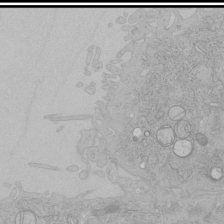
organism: Human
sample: Mitochondria in HCT116 cells